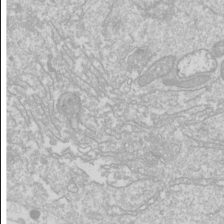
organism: Drosophila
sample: Cell division; meiosis; drosophila spermatocytes